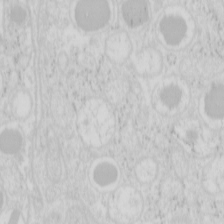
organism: Mouse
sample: Pancreas